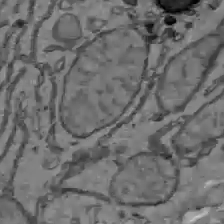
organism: C57BL Mouse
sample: Liver